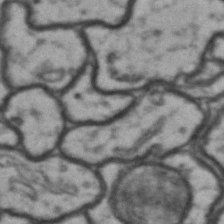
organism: Drosophila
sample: Brain